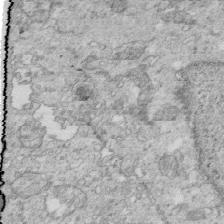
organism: Mouse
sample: Multiciliated cells